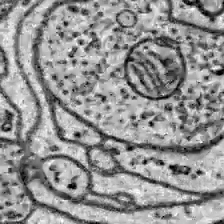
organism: Zebrafish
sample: Brain